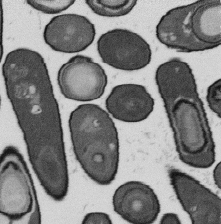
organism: B. subtilis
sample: Bacterial spore